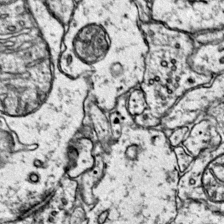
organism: Mouse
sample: Primary visual cortex